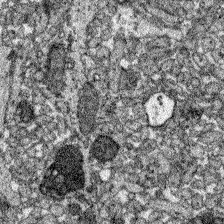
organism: Zebrafish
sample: Larval olfactory bulb